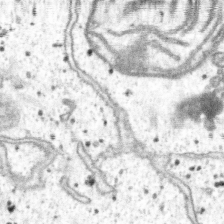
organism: Human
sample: HeLa cells